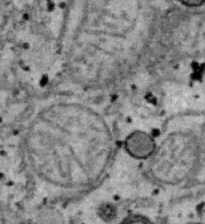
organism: Mouse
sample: Liver from an obese (ob/ob) mouse